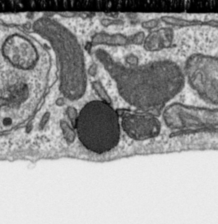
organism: Toxoplasma gondii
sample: Parasites in a vacuole inside a host cell